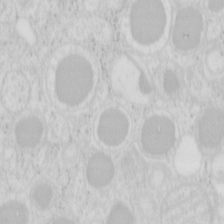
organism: Mouse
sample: Pancreas